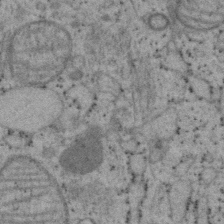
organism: Human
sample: HeLa cells